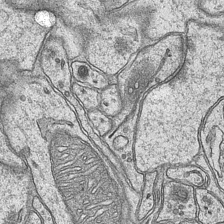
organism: Mouse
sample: CA1 Hippocampus